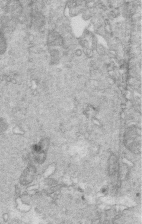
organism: Mouse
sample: Multiciliated cells